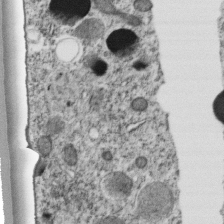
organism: C. elegans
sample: C. elegans embryo early stage